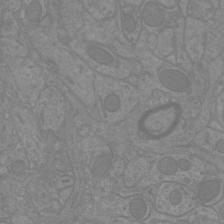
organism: Mouse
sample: Cortical neurons